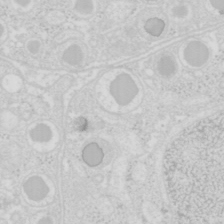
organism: Mouse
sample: Pancreas